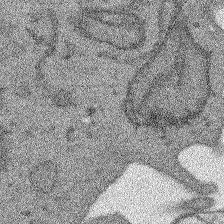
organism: Human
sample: HeLa cells